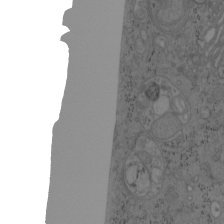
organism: Mouse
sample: OT-I killer T cells with ID8 ovarian cancer cells